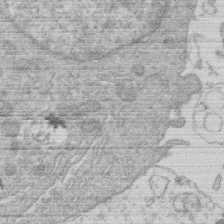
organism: Human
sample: Macrophage cells